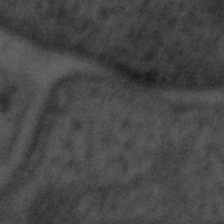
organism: Tuwongella immobilis